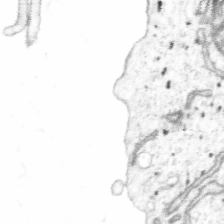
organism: Human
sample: HeLa cells